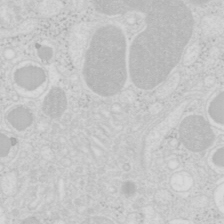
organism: Mouse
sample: Pancreas